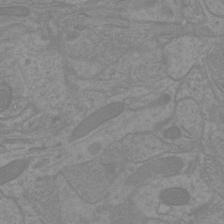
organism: Mouse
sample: Cortical neurons